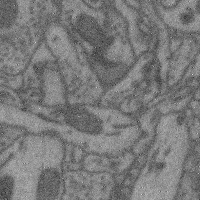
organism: Mouse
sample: Cerebral cortex